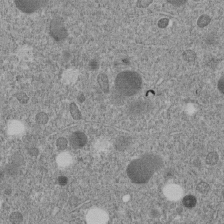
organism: C. elegans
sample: C. elegans embryo early stage